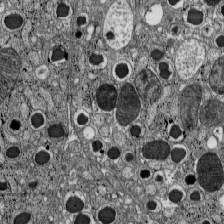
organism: C57BL Mouse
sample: Pancreatic islet